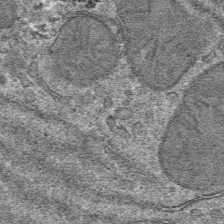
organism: Mouse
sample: Mouse hepatocytes